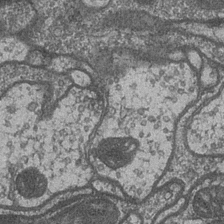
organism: Drosophila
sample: Optic medulla